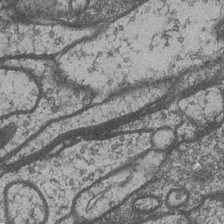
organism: Drosophila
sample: Optic medulla